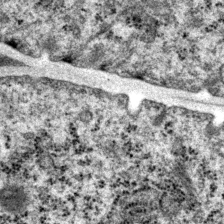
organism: P. pacificus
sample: Pharynx